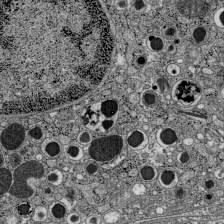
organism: C57BL Mouse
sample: Pancreatic islet